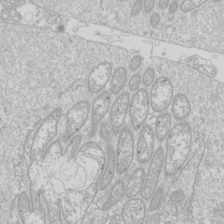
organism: Drosophila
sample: Cell division; meiosis; drosophila spermatocytes